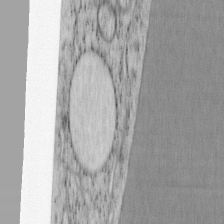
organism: Human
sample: HeLa cells